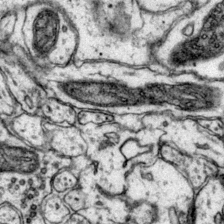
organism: Mouse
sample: Primary visual cortex